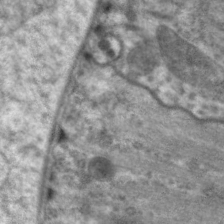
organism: C. elegans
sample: Pharynx